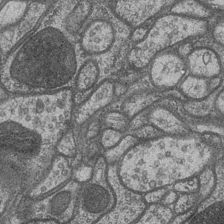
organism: Drosophila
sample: Optic medulla